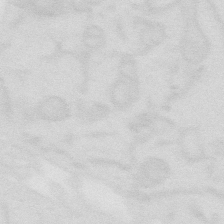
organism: Human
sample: HeLa cells